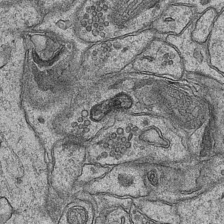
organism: Mouse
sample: CA1 Hippocampus